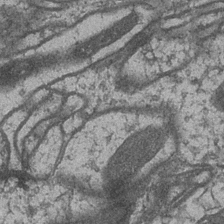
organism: Drosophila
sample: Optic medulla